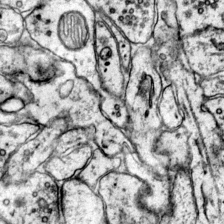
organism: Mouse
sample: Primary visual cortex